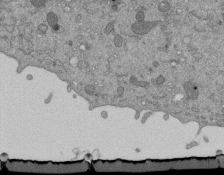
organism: Mouse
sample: ED-1 cell nuclei; centrioles